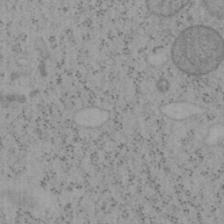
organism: Mouse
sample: OT-I killer T cells with ID8 ovarian cancer cells